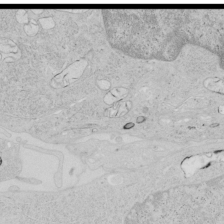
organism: Human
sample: Mitochondria in HCT116 cells